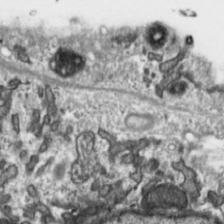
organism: Toxoplasma gondii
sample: Parasites in a vacuole inside a host cell